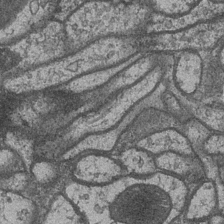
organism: Drosophila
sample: Optic medulla